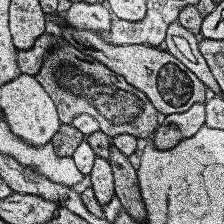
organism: Human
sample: Temporal Lobe